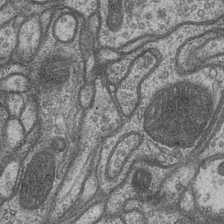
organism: Drosophila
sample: Optic medulla